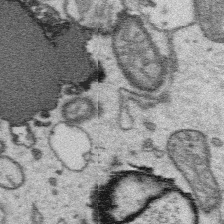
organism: Platynereis dumerilii